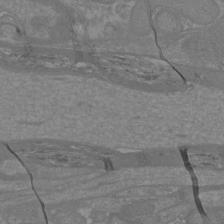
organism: Mouse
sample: Cortical neurons